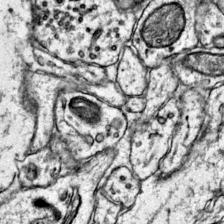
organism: Mouse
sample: Primary visual cortex